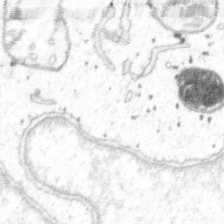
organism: Human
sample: HeLa cells